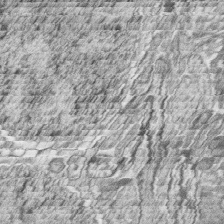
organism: Zebrafish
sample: synaptic ribbons in rod cells and cone cells